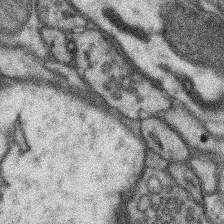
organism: Mouse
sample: Somatosensory cortex neuropil